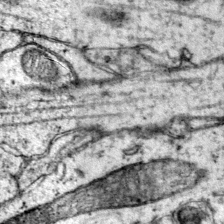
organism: Mouse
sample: Primary visual cortex